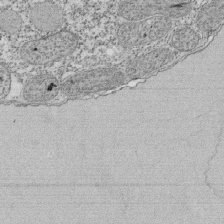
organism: Tetrahymena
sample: Cilia in tetrahymena